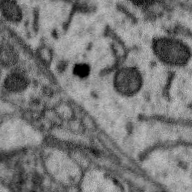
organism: Zebra finch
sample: Brain